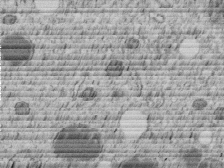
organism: C. elegans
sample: C. elegans embryo early stage